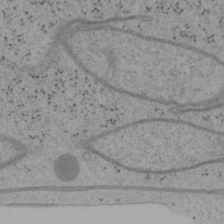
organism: Human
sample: HeLa cells